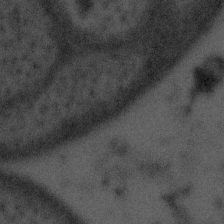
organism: Tuwongella immobilis